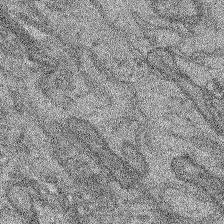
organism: Human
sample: HeLa cells